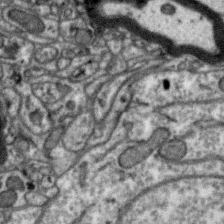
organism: Zebra finch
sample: Brain